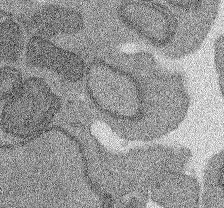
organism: Human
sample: HeLa cells